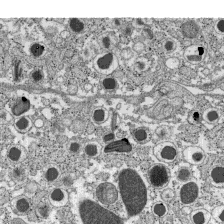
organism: C57BL Mouse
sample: Pancreatic islet